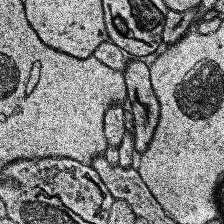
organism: Human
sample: Temporal Lobe